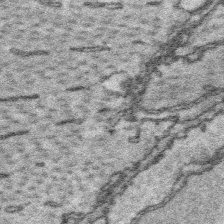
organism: Platynereis dumerilii